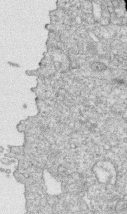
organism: Human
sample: HeLa cell HIV synapse